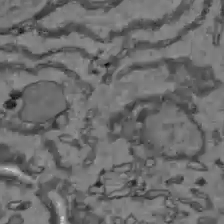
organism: C57BL Mouse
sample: Liver